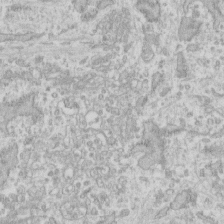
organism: Human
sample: Fibroblast cells